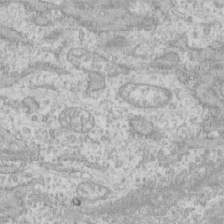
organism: Human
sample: CRL-1474